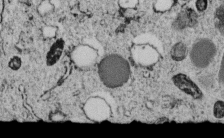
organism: C. elegans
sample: C. elegans embryo early stage